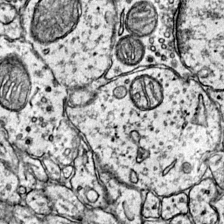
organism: Mouse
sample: Primary visual cortex